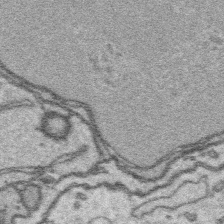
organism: Platynereis dumerilii